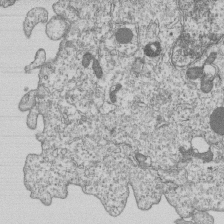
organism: Human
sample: MDA-MB-231 cells